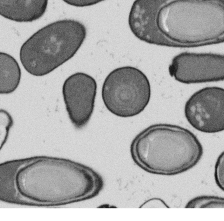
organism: B. subtilis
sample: Bacterial spore